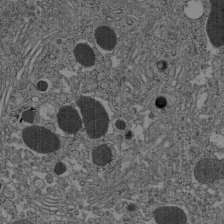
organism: C57BL Mouse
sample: Pancreatic islet